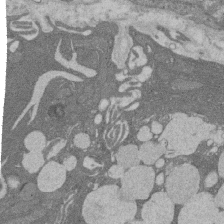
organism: Rat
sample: Salivary granule